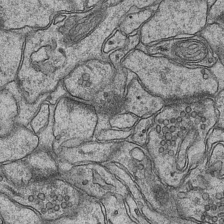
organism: Mouse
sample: CA1 Hippocampus